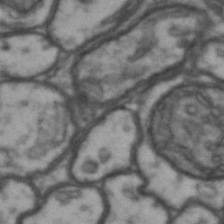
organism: Drosophila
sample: Brain